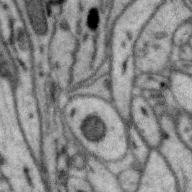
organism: Zebra finch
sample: Brain